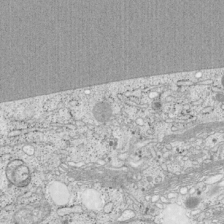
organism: African green monkey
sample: COS-7 cells